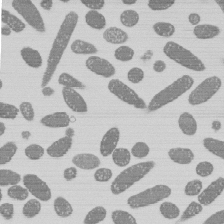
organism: E. coli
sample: Bacterial nucleoid